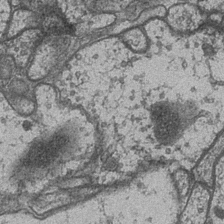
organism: Drosophila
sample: Optic medulla